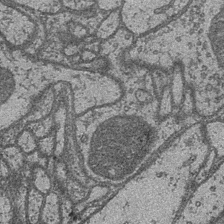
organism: Drosophila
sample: Optic medulla